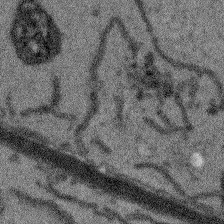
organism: Arabidopsis thaliana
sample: Root tip